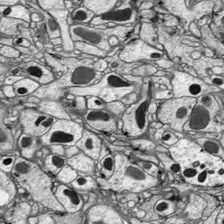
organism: Drosophila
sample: Optic lobe